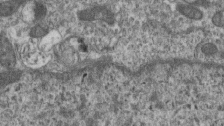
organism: Mouse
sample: Centriole in ependymal cells